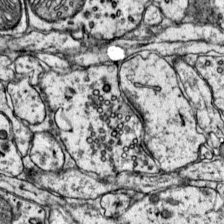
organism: Mouse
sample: Primary visual cortex